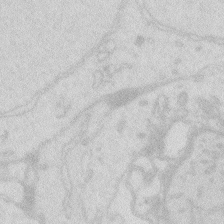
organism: Zebrafish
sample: Macrophage